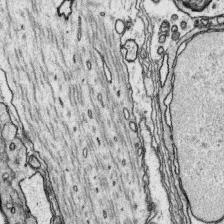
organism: Platynereis dumerilii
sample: Parapodia